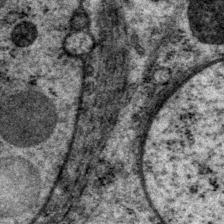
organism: P. pacificus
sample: Pharynx